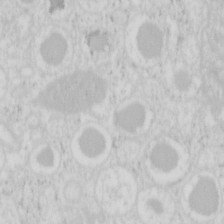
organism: Mouse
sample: Pancreas